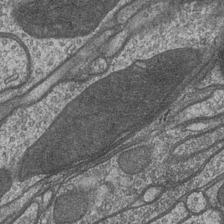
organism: Drosophila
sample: Optic medulla